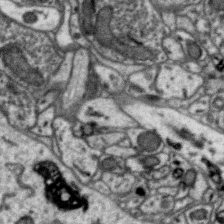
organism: Zebra finch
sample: Brain